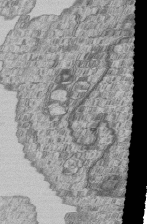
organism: Human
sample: MDA-MB-231 cells